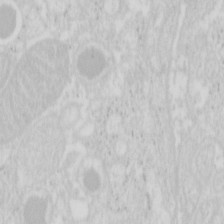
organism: Mouse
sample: Pancreas